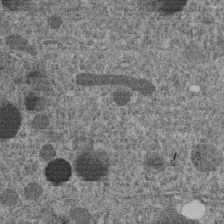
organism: C. elegans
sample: C. elegans embryo early stage